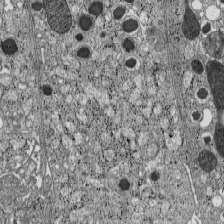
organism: C57BL Mouse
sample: Pancreatic islet